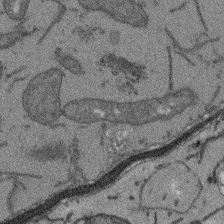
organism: Arabidopsis thaliana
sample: Root tip